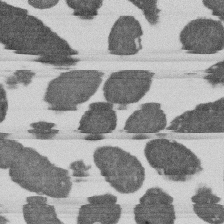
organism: E. coli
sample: Bacterial nucleoid